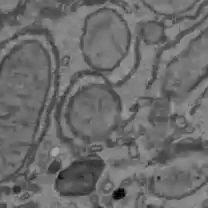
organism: C57BL Mouse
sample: Liver